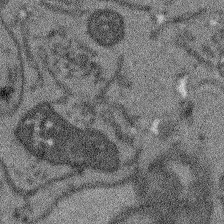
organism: Arabidopsis thaliana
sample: Root tip